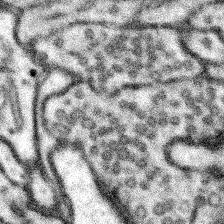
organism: Mouse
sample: Somatosensory cortex neuropil